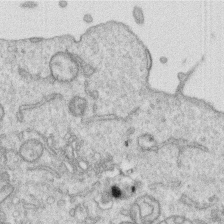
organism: Human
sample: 1205lu cells